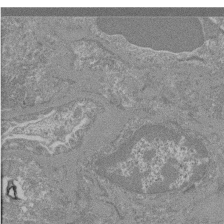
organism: Mouse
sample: Glomerulus